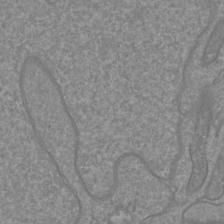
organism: Mouse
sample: Cortical neurons